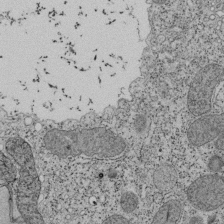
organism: Tetrahymena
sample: Cilia in tetrahymena